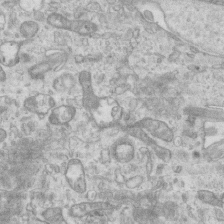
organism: Mouse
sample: Centriole in ependymal cells